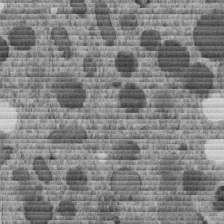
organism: C. elegans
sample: C. elegans embryo early stage